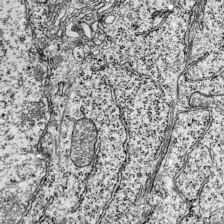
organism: Mouse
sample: Visual Cortex